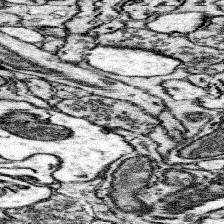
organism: Mouse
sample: Somatosensory cortex neuropil